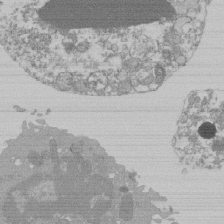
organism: Mouse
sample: Activated Pmel transgenic CD8+ T Cells